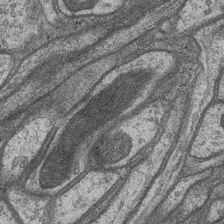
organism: Drosophila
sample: Optic medulla